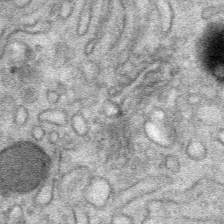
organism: Mouse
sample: Mouse Salivary gland